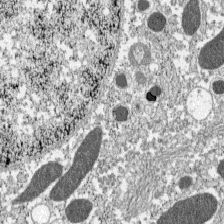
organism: C57BL Mouse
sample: Pancreatic islet